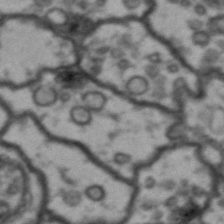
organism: Drosophila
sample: Brain